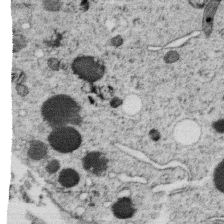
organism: C. elegans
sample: C. elegans oocyte; sperm cells